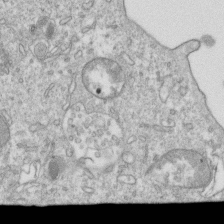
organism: Mouse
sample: Activated OT-1 CD8+ T cells